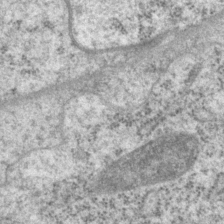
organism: P. pacificus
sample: Pharynx